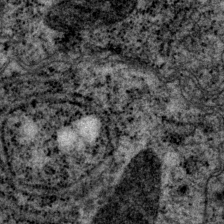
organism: P. pacificus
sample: Pharynx